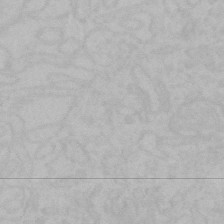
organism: Mouse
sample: Choroid plexus